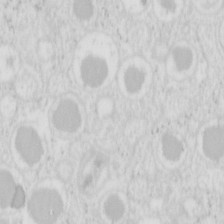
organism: Mouse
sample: Pancreas